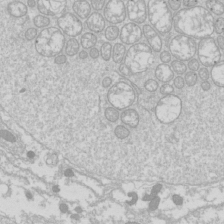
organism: Drosophila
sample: Cell division; meiosis; drosophila spermatocytes